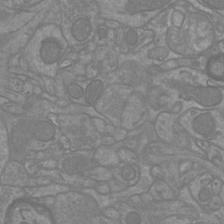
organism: Mouse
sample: Cortical neurons